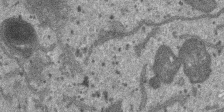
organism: Human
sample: Lung epithelial cells infected with SARS-CoV-2